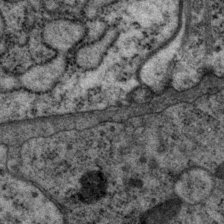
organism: P. pacificus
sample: Pharynx